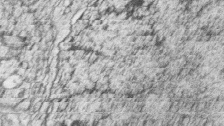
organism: Zebrafish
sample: synaptic ribbons in rod cells and cone cells